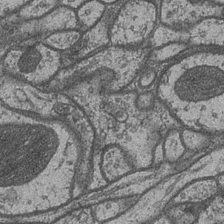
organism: Drosophila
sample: Optic medulla